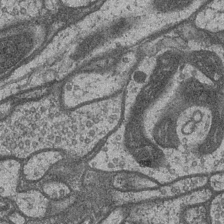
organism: Drosophila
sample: Optic medulla